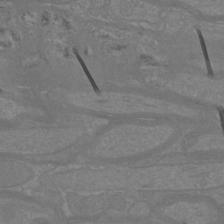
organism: Mouse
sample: Cortical neurons